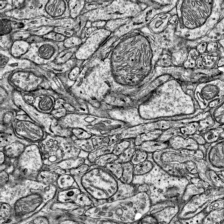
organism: Mouse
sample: Visual Cortex